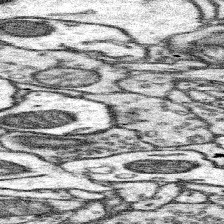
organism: Mouse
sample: Somatosensory cortex neuropil